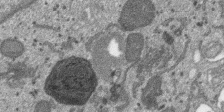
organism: Human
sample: Lung epithelial cells infected with SARS-CoV-2